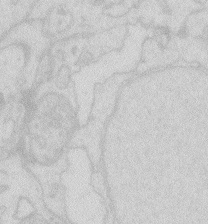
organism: Zebrafish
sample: Macrophage